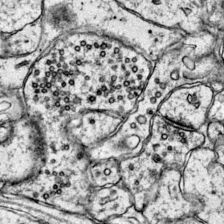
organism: Mouse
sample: Primary visual cortex